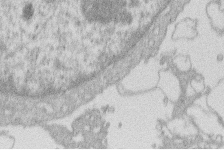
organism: Human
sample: Macrophage cells